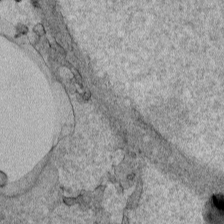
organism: Human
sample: Mitochondria in HCT116 cells